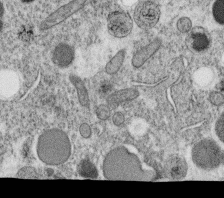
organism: C. elegans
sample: C. elegans oocyte; sperm cells